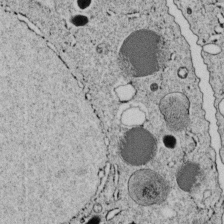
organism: C. elegans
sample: C. elegans embryo early stage